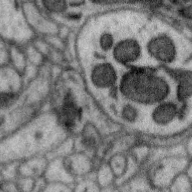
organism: Zebra finch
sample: Brain